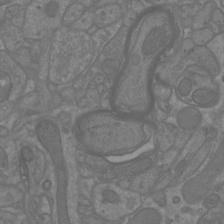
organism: Mouse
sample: Cortical neurons